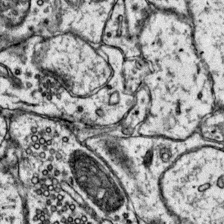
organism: Mouse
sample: Primary visual cortex